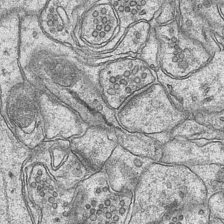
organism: Mouse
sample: CA1 Hippocampus